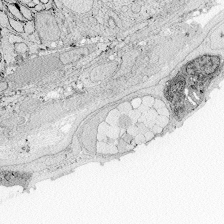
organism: Zebrafish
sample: Whole-Brain